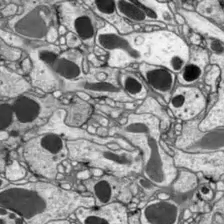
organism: Drosophila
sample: Optic lobe